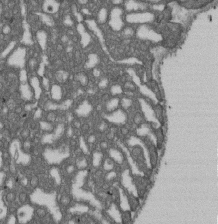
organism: Drosophila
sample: Nephrocyte